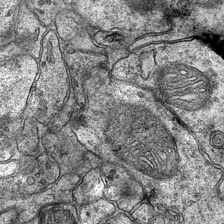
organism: Mouse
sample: CA1 Hippocampus